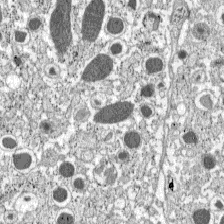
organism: C57BL Mouse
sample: Pancreatic islet